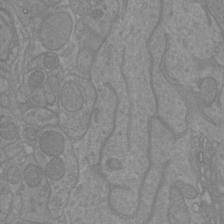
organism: Mouse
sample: Cortical neurons